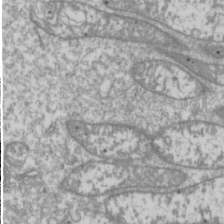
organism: Drosophila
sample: Cell division; meiosis; drosophila spermatocytes